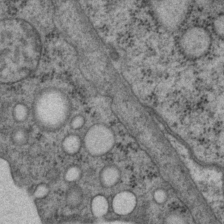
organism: P. pacificus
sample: Pharynx